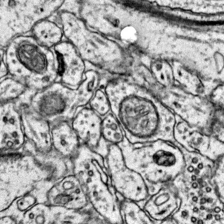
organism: Mouse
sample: Primary visual cortex